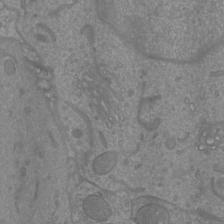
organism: Mouse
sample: Cortical neurons